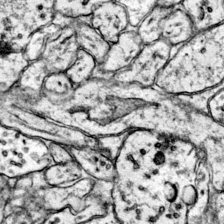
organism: Mouse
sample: Primary visual cortex